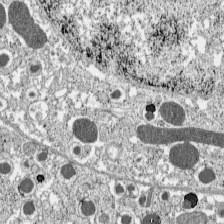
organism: C57BL Mouse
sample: Pancreatic islet